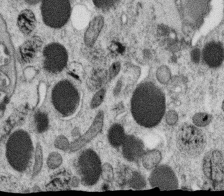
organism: C. elegans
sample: C. elegans oocyte; sperm cells